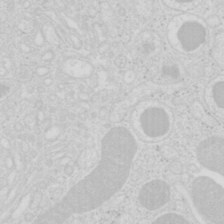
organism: Mouse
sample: Pancreas